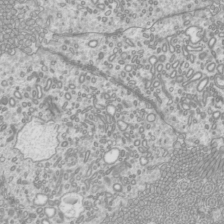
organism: Mouse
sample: Cilia; mouse epididymis